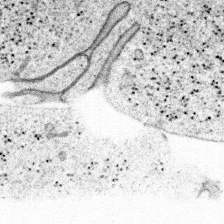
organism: Human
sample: HeLa cells